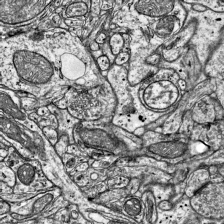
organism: Mouse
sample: Visual Cortex